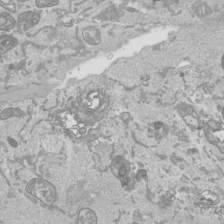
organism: Human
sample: Mitochondria in HCT116 cells